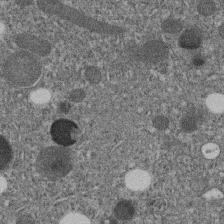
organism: C. elegans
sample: C. elegans embryo early stage